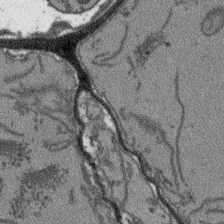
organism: Arabidopsis thaliana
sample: Root tip